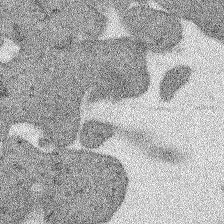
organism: Human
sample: HeLa cells